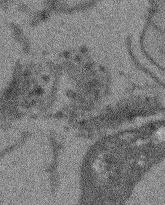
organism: Arabidopsis thaliana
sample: Root tip